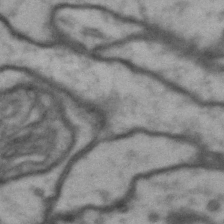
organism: Drosophila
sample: Brain